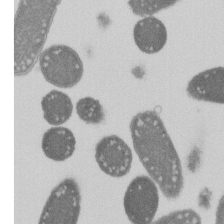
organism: E. coli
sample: Bacterial nucleoid